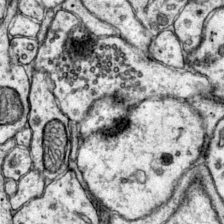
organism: Mouse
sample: Primary visual cortex